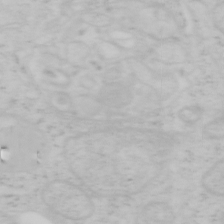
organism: Mouse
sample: OT-I killer T cells with ID8 ovarian cancer cells